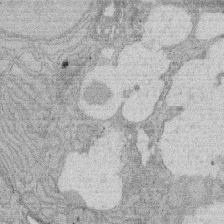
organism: Rat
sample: Salivary granule